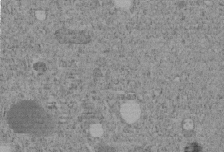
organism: C. elegans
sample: C. elegans embryo early stage